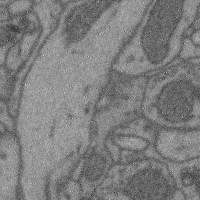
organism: Mouse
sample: Cerebral cortex